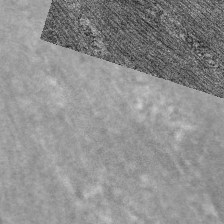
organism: C. elegans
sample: Pharynx